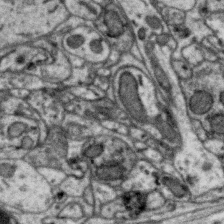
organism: Zebra finch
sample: Brain